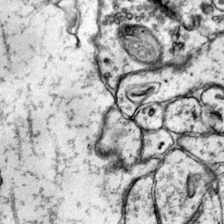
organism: Mouse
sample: Primary visual cortex